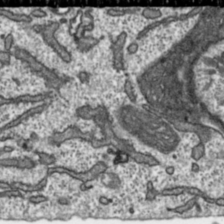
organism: Toxoplasma gondii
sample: Parasites in a vacuole inside a host cell